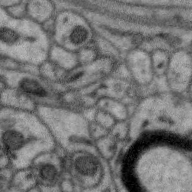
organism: Zebra finch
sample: Brain